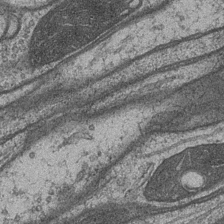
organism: Drosophila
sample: Optic medulla